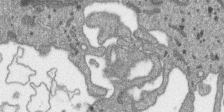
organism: Human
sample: Lung epithelial cells infected with SARS-CoV-2